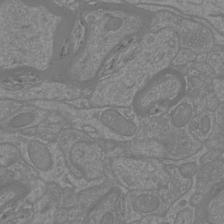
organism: Mouse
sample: Cortical neurons